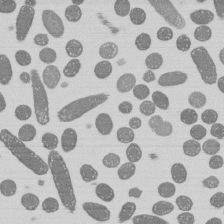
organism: E. coli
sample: Bacterial nucleoid